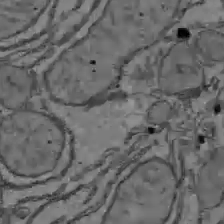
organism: C57BL Mouse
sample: Liver